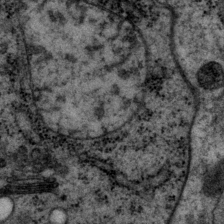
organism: P. pacificus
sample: Pharynx